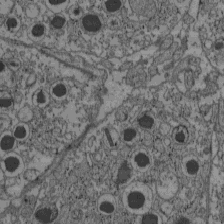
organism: C57BL Mouse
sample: Pancreatic islet